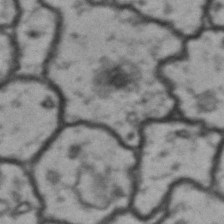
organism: Drosophila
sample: Brain